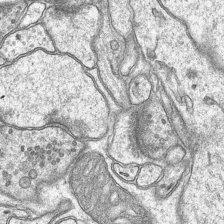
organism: Mouse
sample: CA1 Hippocampus